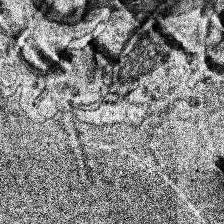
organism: Human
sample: Temporal Lobe